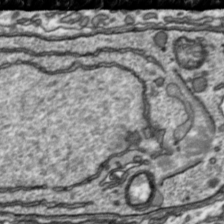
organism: Toxoplasma gondii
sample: Parasites in a vacuole inside a host cell